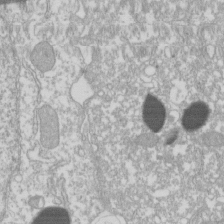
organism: Xenopus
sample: Cilia; centrioles in frog embryo cells